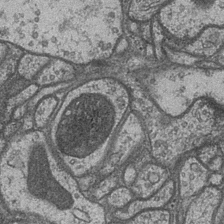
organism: Drosophila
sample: Optic medulla